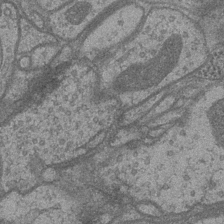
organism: Drosophila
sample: Optic medulla